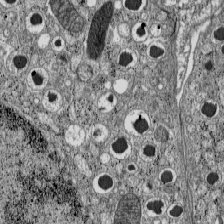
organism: C57BL Mouse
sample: Pancreatic islet